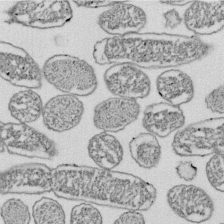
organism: E. coli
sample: Bacterial nucleoid